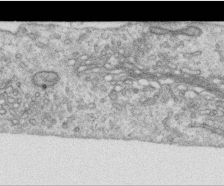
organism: Human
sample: Centriole in RPE cells